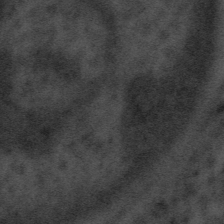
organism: Tuwongella immobilis